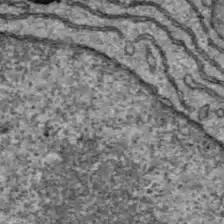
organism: C57BL Mouse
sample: Liver